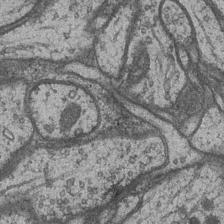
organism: Drosophila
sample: Optic medulla